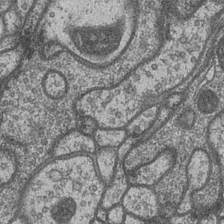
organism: Drosophila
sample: Optic medulla